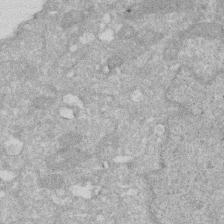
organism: Human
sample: HIV infected U937 cells